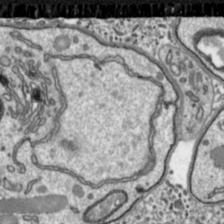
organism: Toxoplasma gondii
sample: Parasites in a vacuole inside a host cell